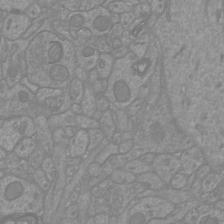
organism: Mouse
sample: Cortical neurons